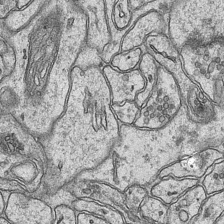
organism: Mouse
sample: CA1 Hippocampus